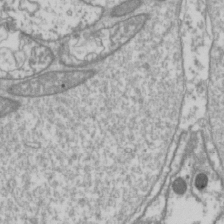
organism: Drosophila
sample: Cell division; meiosis; drosophila spermatocytes